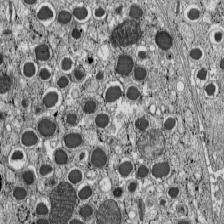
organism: C57BL Mouse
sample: Pancreatic islet